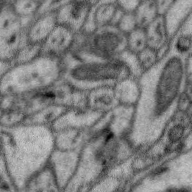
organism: Zebra finch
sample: Brain